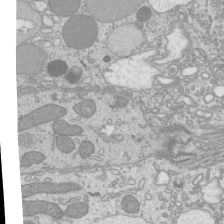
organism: Mouse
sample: Cilia; mouse epididymis